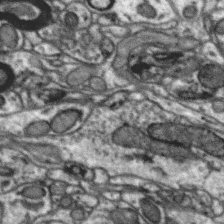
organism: Zebra finch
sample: Brain